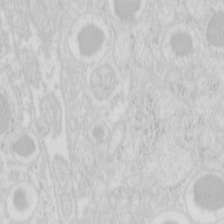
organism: Mouse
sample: Pancreas